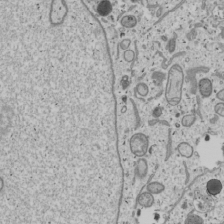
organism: Human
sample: Mitochondria in U2OS cells